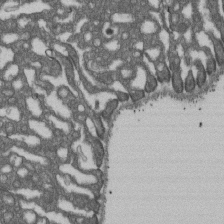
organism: Drosophila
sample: Nephrocyte